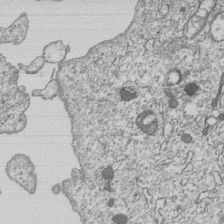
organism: Human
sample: MDA-MB-231 cells